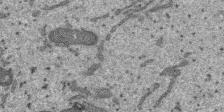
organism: Human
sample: Lung epithelial cells infected with SARS-CoV-2